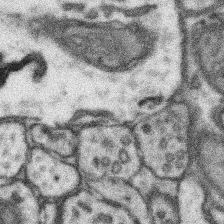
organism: Mouse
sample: Somatosensory cortex neuropil